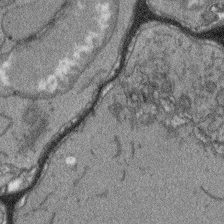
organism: Arabidopsis thaliana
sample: Root tip